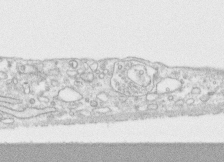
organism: Human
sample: CRL-1474